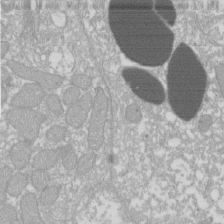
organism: Xenopus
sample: Cilia; centrioles in frog embryo cells